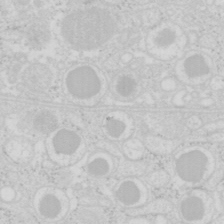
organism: Mouse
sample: Pancreas